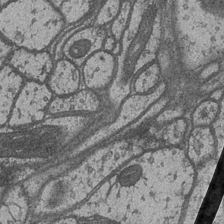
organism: Drosophila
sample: Optic medulla